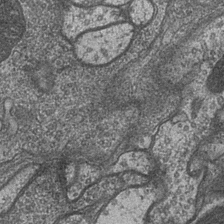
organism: Drosophila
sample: Optic medulla